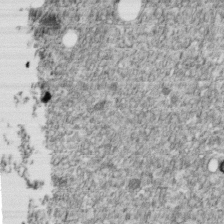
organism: C. elegans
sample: C. elegans embryo early stage